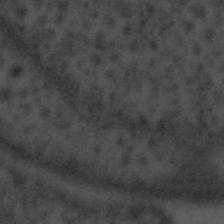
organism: Tuwongella immobilis